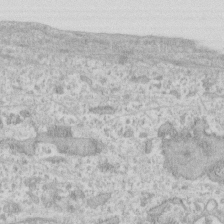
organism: Human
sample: Fibroblast cells